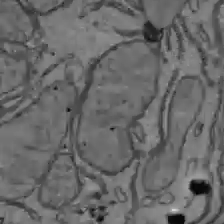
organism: C57BL Mouse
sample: Liver